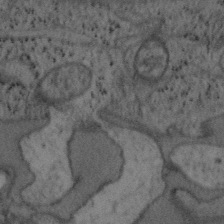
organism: Human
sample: HeLa cells